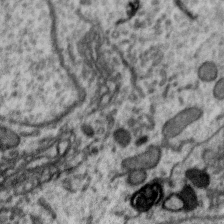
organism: Zebra finch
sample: Brain